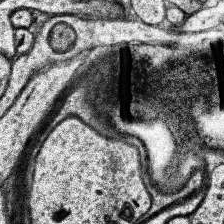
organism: Human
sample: Temporal Lobe